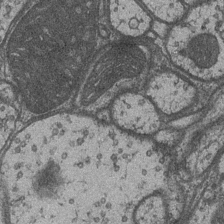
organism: Drosophila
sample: Optic medulla